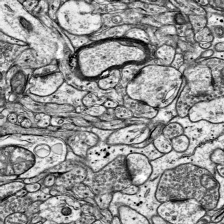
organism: Mouse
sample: Visual Cortex